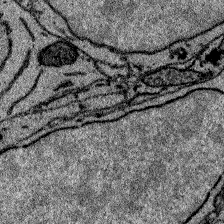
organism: Zebrafish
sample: Larval olfactory bulb